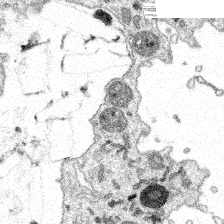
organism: Spongilla lacustris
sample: Multiple